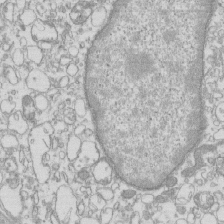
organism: Mouse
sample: Macrophages